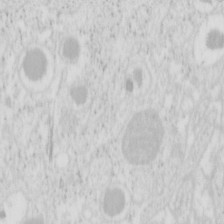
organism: Mouse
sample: Pancreas